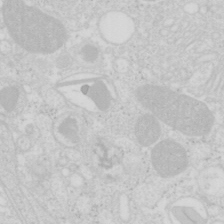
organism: Mouse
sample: Pancreas